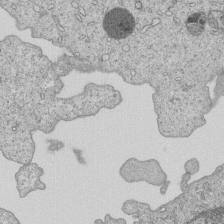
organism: Human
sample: MDA-MB-231 cells